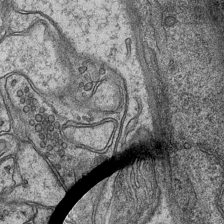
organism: Mouse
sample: CA1 Hippocampus